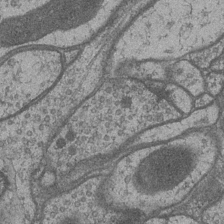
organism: Drosophila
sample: Optic medulla